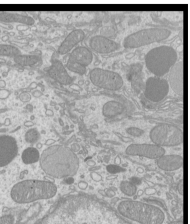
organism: Mouse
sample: Cilia; mouse epididymis